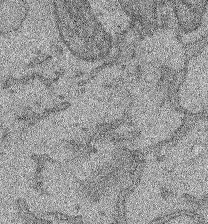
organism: Human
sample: HeLa cells